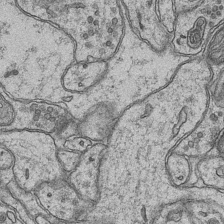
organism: Mouse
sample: CA1 Hippocampus